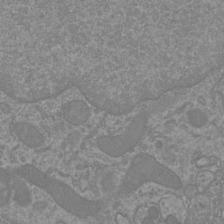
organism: Mouse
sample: Cortical neurons